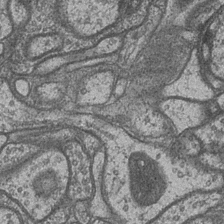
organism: Drosophila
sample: Optic medulla